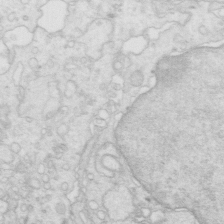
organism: Mouse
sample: Multiciliated cells